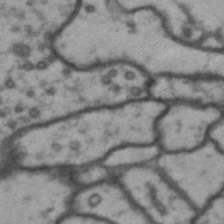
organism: Drosophila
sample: Brain